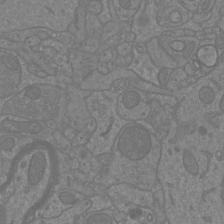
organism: Mouse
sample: Cortical neurons